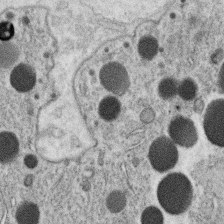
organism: C. elegans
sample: C. elegans oocyte; sperm cells